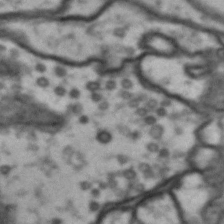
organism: Drosophila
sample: Brain